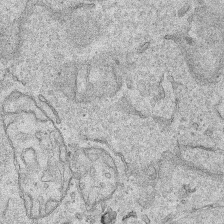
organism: Human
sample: Mitochondria in HCT116 cells